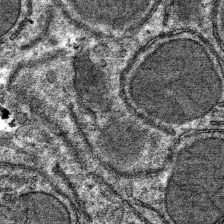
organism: Mouse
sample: Mouse hepatocytes